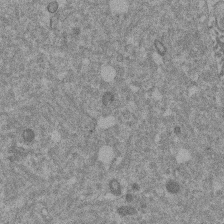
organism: Mouse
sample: Dividing mouse embryo 1 cell stage